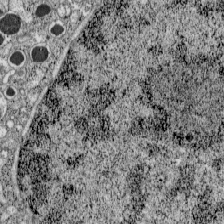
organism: C57BL Mouse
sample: Pancreatic islet